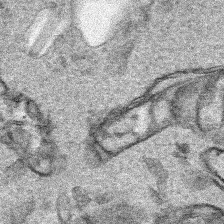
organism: Human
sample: Mitochondria in HCT116 cells